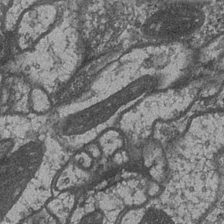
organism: Drosophila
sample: Optic medulla